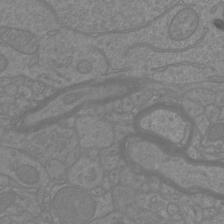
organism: Mouse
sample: Cortical neurons